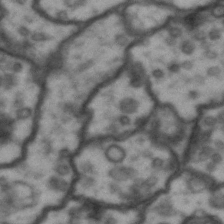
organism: Drosophila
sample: Brain